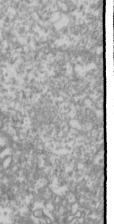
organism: Drosophila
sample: Cell division; meiosis; drosophila spermatocytes